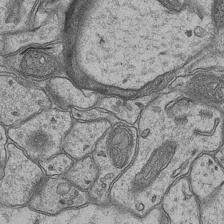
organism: Mouse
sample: CA1 Hippocampus